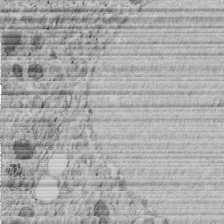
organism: C. elegans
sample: C. elegans embryo early stage